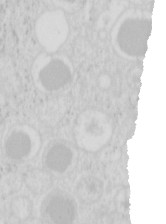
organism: Mouse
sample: Pancreas